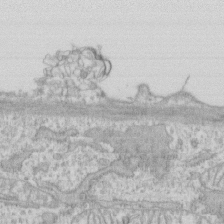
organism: Human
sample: CRL-1474